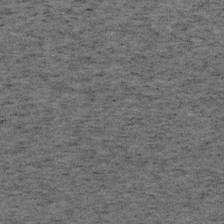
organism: Mouse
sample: OT-I killer T cells with ID8 ovarian cancer cells